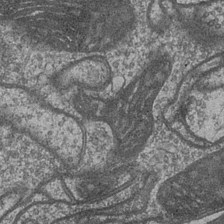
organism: Drosophila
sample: Optic medulla